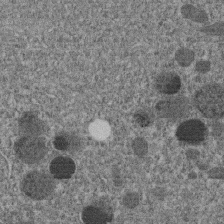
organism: C. elegans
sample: C. elegans embryo early stage